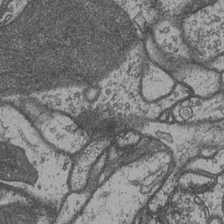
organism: Drosophila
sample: Optic medulla